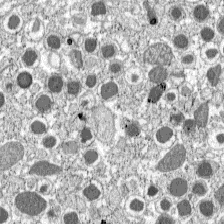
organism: C57BL Mouse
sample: Pancreatic islet